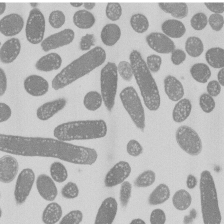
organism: E. coli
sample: Bacterial nucleoid